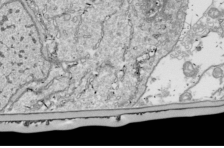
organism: Drosophila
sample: Cell division; meiosis; drosophila spermatocytes